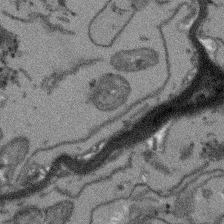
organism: Arabidopsis thaliana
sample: Root tip